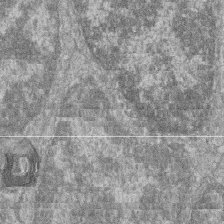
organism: Zebrafish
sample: Cilia; retinal pigment epithelium